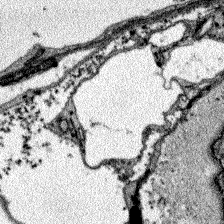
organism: Zebrafish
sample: Larval olfactory bulb